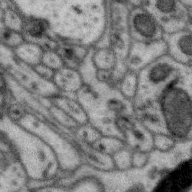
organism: Zebra finch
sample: Brain